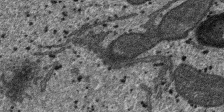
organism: Human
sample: Lung epithelial cells infected with SARS-CoV-2